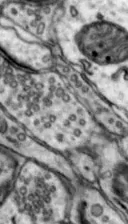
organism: Mouse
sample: Nucleus accumbens